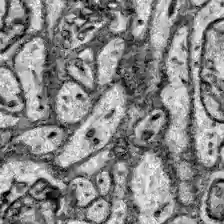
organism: Zebrafish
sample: Brain